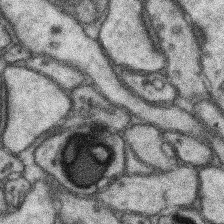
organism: Mouse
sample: Somatosensory cortex neuropil